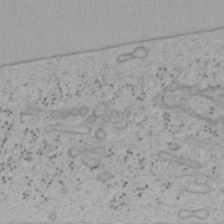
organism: Human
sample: HeLa cells